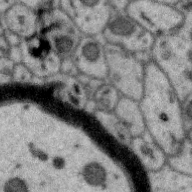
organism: Zebra finch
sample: Brain